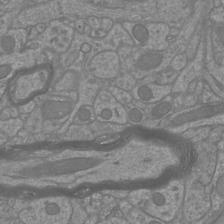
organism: Mouse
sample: Cortical neurons